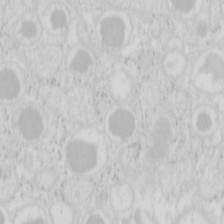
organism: Mouse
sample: Pancreas